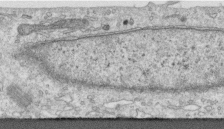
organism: Human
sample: Centriole in RPE cells